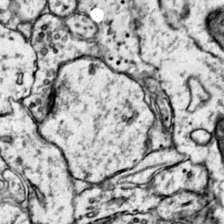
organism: Mouse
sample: Primary visual cortex